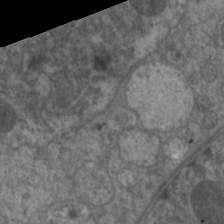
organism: C. elegans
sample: Pharynx